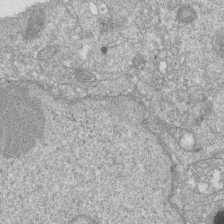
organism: Human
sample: HeLa cell HIV synapse